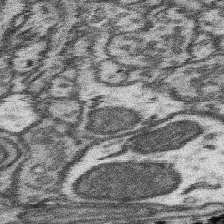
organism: Mouse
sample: Somatosensory cortex neuropil